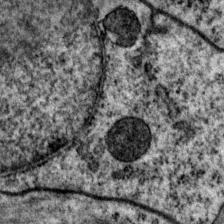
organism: P. pacificus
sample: Pharynx